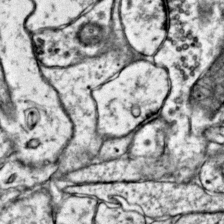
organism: Mouse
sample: Primary visual cortex